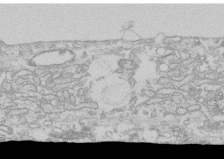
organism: Human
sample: CRL-1474